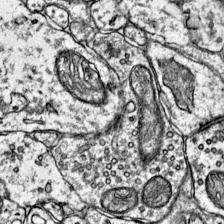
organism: Mouse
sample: Primary visual cortex